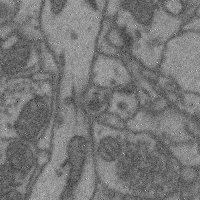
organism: Mouse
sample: Cerebral cortex